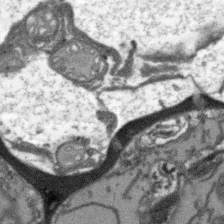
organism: Arabidopsis thaliana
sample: Root tip